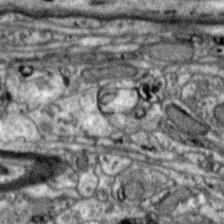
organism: Zebra finch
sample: Brain